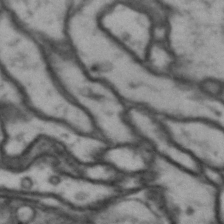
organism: Drosophila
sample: Brain